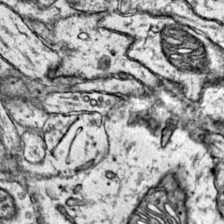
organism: Mouse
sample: Primary visual cortex